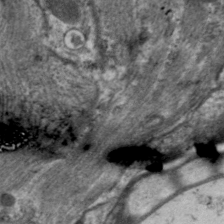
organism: C. elegans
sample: Pharynx